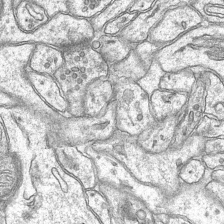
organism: Mouse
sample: CA1 Hippocampus